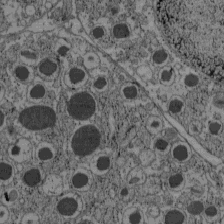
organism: C57BL Mouse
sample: Pancreatic islet